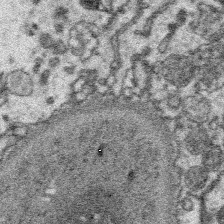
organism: Platynereis dumerilii